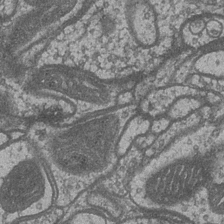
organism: Drosophila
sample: Optic medulla